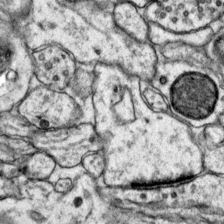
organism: Mouse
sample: Primary visual cortex